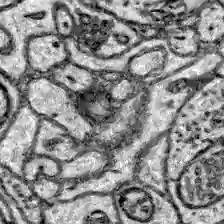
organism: Zebrafish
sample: Brain